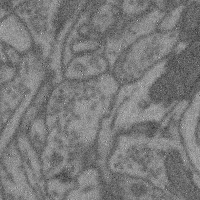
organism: Mouse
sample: Cerebral cortex